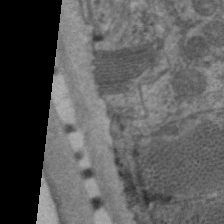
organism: C. elegans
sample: Pharynx